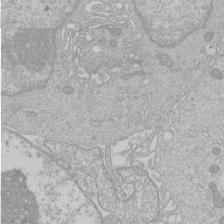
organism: Human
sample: Macrophage cells